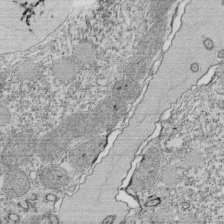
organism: Tetrahymena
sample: Cilia in tetrahymena